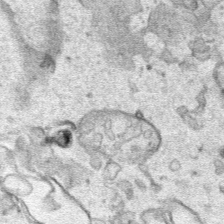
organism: Human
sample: Mitochondria in HCT116 cells